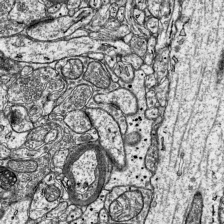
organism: Mouse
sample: Visual Cortex